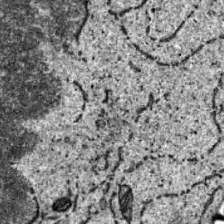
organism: Human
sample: HeLa cells